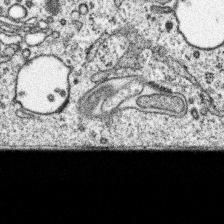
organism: Human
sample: HeLa cells